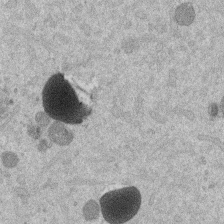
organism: Mouse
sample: Dividing mouse embryo 1 cell stage